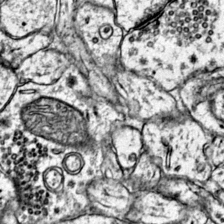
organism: Mouse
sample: Primary visual cortex